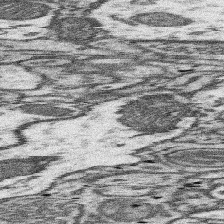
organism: Mouse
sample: Somatosensory cortex neuropil